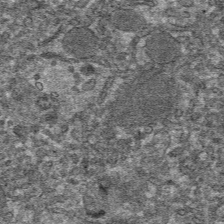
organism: Mouse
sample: Mouse hepatocytes